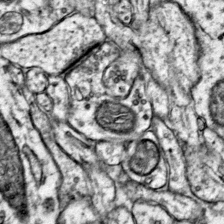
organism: Mouse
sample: Primary visual cortex